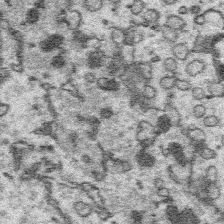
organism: Platynereis dumerilii